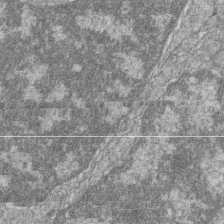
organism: Zebrafish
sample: Cilia; retinal pigment epithelium